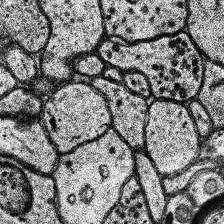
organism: Human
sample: Temporal Lobe